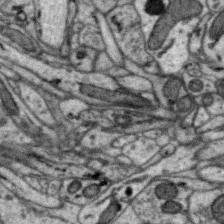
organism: Zebra finch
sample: Brain